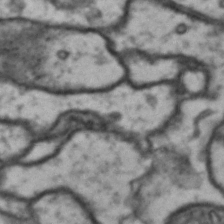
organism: Drosophila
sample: Brain